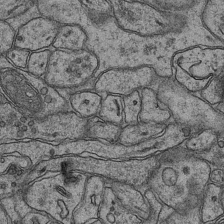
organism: Mouse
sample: CA1 Hippocampus